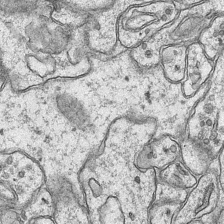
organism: Mouse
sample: CA1 Hippocampus